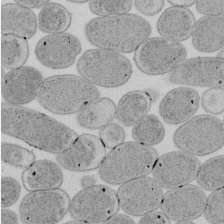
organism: E. coli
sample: Bacterial nucleoid